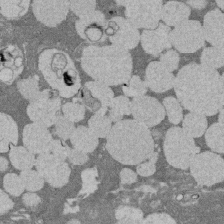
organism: Rat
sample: Salivary granule